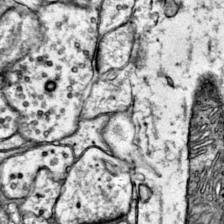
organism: Mouse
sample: Primary visual cortex